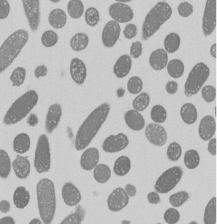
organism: E. coli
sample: Bacterial nucleoid